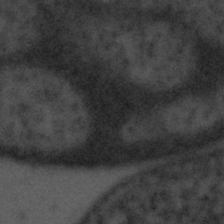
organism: Tuwongella immobilis